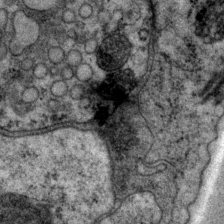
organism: P. pacificus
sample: Pharynx